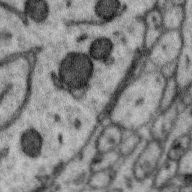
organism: Zebra finch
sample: Brain